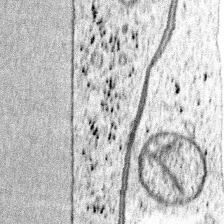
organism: Human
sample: HeLa cells